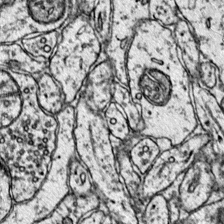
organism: Mouse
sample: Primary visual cortex